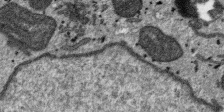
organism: Human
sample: Lung epithelial cells, uninfected (mock) control